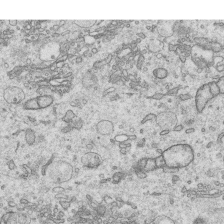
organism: Human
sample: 1205lu cells